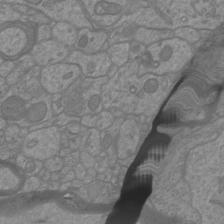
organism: Mouse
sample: Cortical neurons